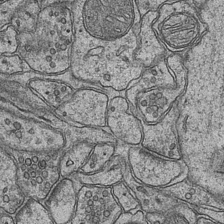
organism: Mouse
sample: CA1 Hippocampus